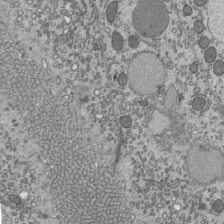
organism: Mouse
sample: Mouse epididymis efferent ductule cilia